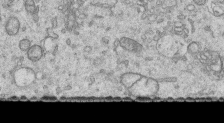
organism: Human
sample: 1205lu cells